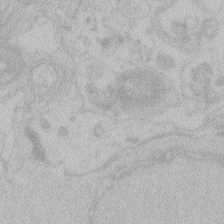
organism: Zebrafish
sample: Macrophage infected with Toxoplasma gondii